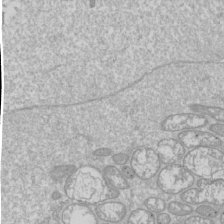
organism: Drosophila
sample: Cell division; meiosis; drosophila spermatocytes